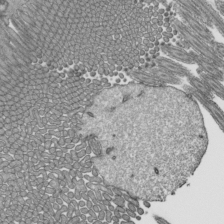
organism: Mouse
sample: Mouse epididymis efferent ductule cilia